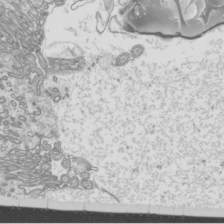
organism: Mouse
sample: Cilia; mouse epididymis